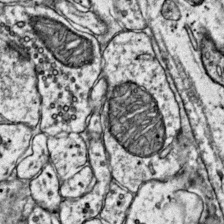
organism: Mouse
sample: Primary visual cortex